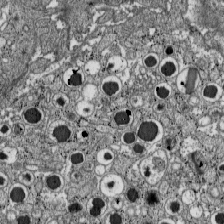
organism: C57BL Mouse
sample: Pancreatic islet